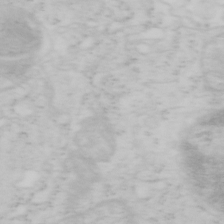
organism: Mouse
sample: OT-I killer T cells with ID8 ovarian cancer cells